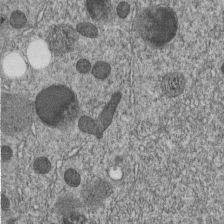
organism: C. elegans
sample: C. elegans embryo early stage